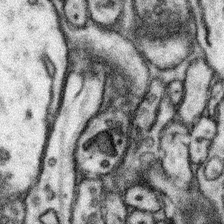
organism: Mouse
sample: Somatosensory cortex neuropil